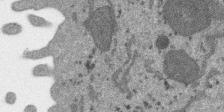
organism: Human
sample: Lung epithelial cells infected with SARS-CoV-2